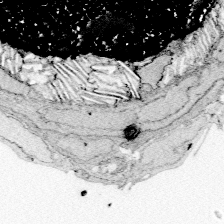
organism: Zebrafish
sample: Whole-Brain